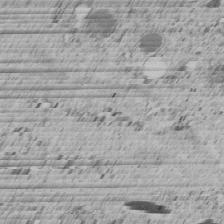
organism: C. elegans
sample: C. elegans embryo early stage